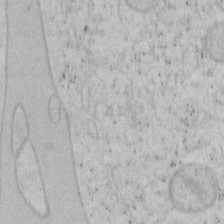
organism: Human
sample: HeLa cells